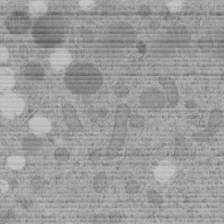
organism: C. elegans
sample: C. elegans embryo early stage